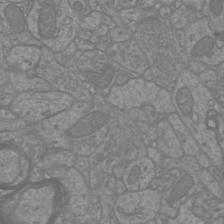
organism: Mouse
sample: Cortical neurons